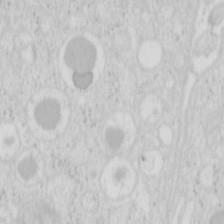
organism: Mouse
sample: Pancreas